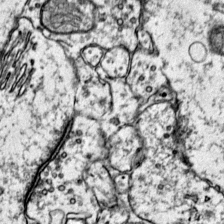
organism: Mouse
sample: Primary visual cortex